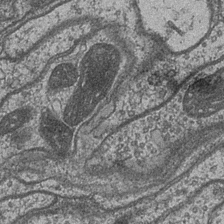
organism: Drosophila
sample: Optic medulla